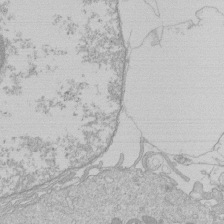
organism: Human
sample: Macrophage cells